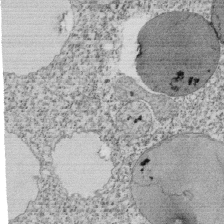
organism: Tetrahymena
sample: Cilia in tetrahymena